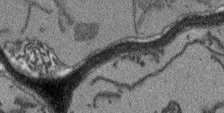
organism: Arabidopsis thaliana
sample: Root tip